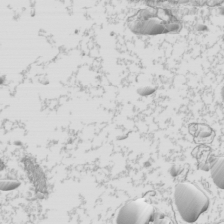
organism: Mouse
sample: Cilia; mouse epididymis